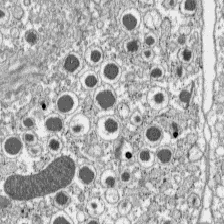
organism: C57BL Mouse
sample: Pancreatic islet